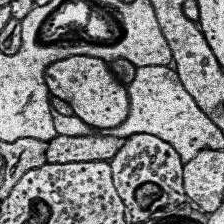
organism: Human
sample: Temporal Lobe